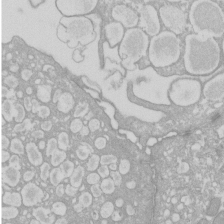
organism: Xenopus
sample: Cilia; centrioles in frog embryo cells